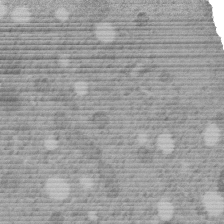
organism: C. elegans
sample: C. elegans embryo early stage